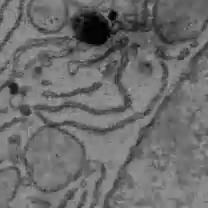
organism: C57BL Mouse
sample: Liver